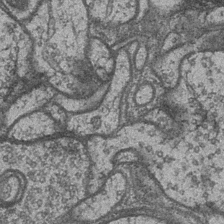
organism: Drosophila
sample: Optic medulla